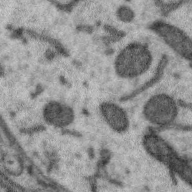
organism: Zebra finch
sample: Brain